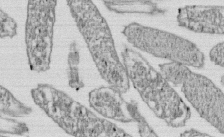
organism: E. coli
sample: Bacterial nucleoid